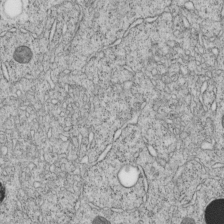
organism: C. elegans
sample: C. elegans embryo early stage